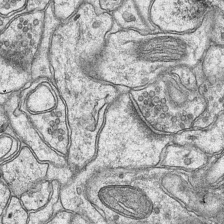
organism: Mouse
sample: CA1 Hippocampus